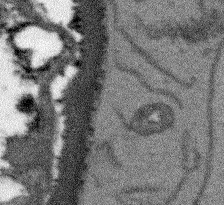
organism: Arabidopsis thaliana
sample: Root tip